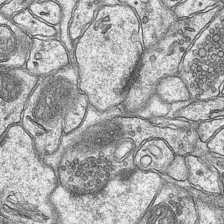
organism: Mouse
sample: CA1 Hippocampus